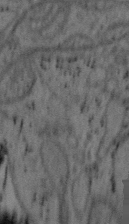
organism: Human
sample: HeLa cells